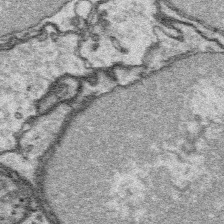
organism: Platynereis dumerilii